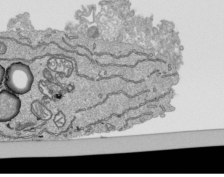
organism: Human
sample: Mitochondria in HCT116 cells